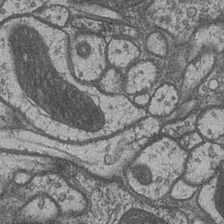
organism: Drosophila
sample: Optic medulla